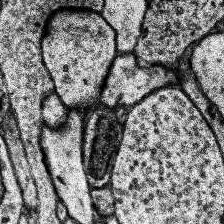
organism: Human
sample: Temporal Lobe